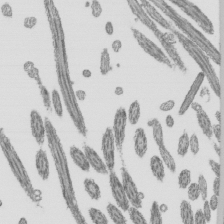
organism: Mouse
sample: Mouse epididymis efferent ductule cilia